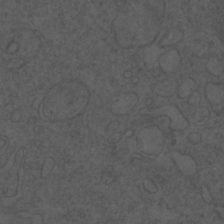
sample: Trachea